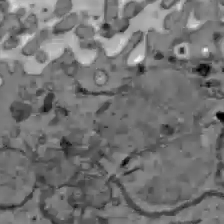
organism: C57BL Mouse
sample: Liver